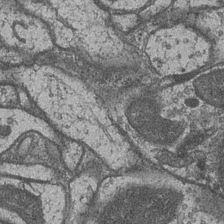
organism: Drosophila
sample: Optic medulla